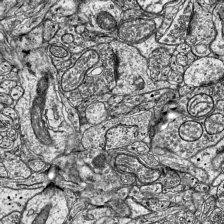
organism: Mouse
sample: Visual Cortex